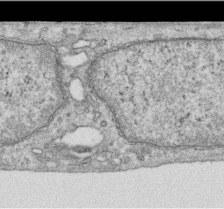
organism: Human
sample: Centriole in RPE cells